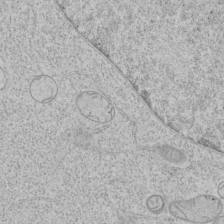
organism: Human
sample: Mitochondria in HCT116 cells